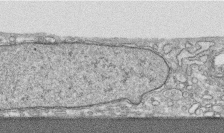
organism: Human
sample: CRL-1474